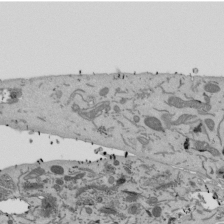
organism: Mouse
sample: ED-1 cell nuclei; centrioles